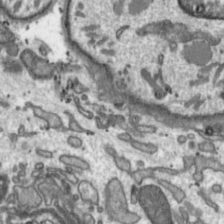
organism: Toxoplasma gondii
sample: Parasites in a vacuole inside a host cell